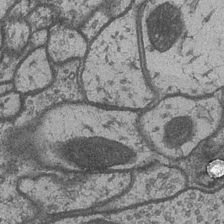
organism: Drosophila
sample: Optic medulla